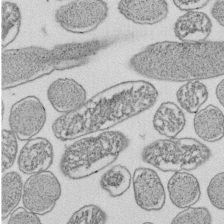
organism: E. coli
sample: Bacterial nucleoid